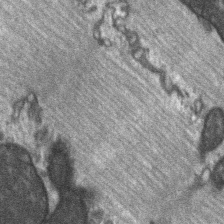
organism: C57BL Mouse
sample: Soleus